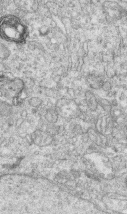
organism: Human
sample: HeLa cell HIV synapse